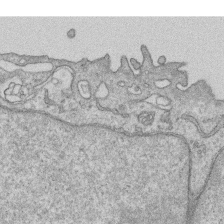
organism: Human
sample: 1205lu cells